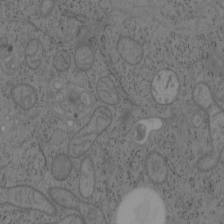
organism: Mouse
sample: OT-I killer T cells with ID8 ovarian cancer cells